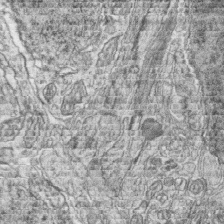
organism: Zebrafish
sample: synaptic ribbons in rod cells and cone cells